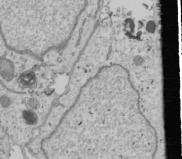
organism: Human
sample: Mitochondria in U2OS cells